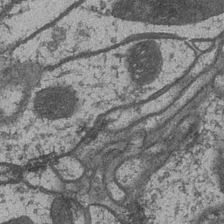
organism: Drosophila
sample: Optic medulla